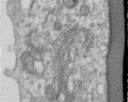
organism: Human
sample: Centriole in RPE cells